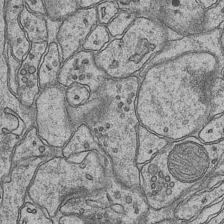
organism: Mouse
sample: CA1 Hippocampus